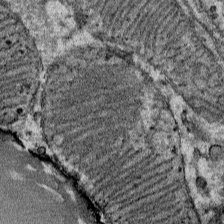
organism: Mouse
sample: Mouse Salivary gland